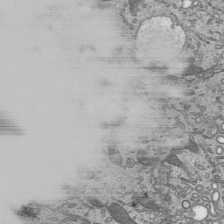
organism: Mouse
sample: Mouse epididymis efferent ductule cilia